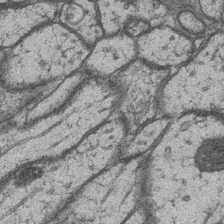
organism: Drosophila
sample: Optic medulla